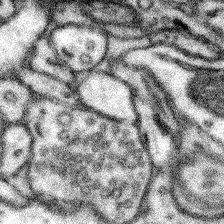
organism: Mouse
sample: Somatosensory cortex neuropil